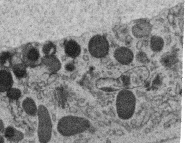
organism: C. elegans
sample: C. elegans oocyte; sperm cells